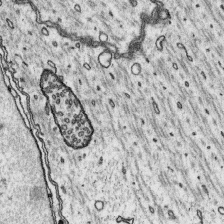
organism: Platynereis dumerilii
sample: Parapodia